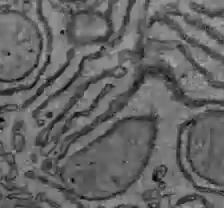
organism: C57BL Mouse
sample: Liver